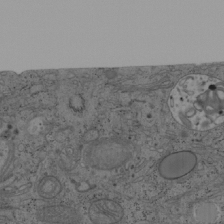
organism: Human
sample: HeLa cells